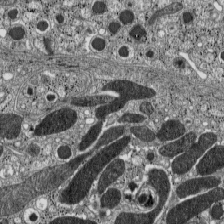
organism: C57BL Mouse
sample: Pancreatic islet